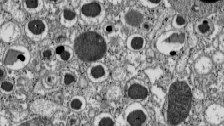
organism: C57BL Mouse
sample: Pancreatic islet